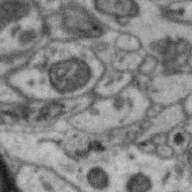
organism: Zebra finch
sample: Brain